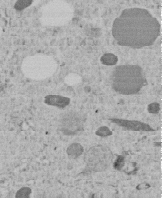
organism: C. elegans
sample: C. elegans embryo early stage